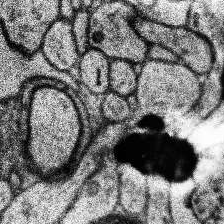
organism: Human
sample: Temporal Lobe